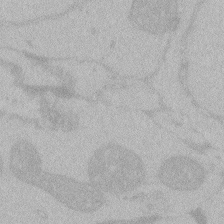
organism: Zebrafish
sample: Macrophage infected with Toxoplasma gondii